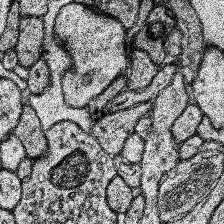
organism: Human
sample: Temporal Lobe